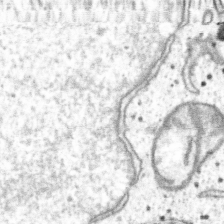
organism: Human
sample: HeLa cells